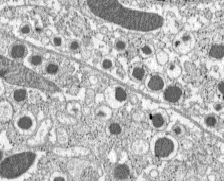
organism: C57BL Mouse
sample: Pancreatic islet